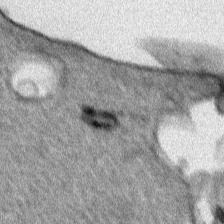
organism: Human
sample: Mitochondria in HCT116 cells